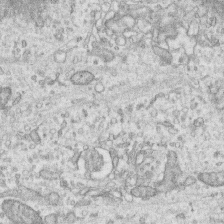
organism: Human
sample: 1205lu cells